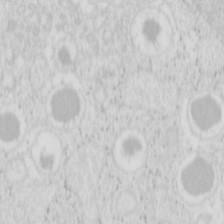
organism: Mouse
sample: Pancreas